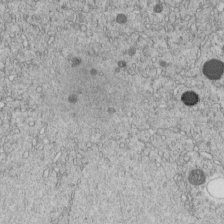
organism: C. elegans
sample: C. elegans embryo early stage